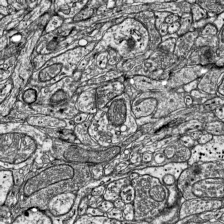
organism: Mouse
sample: Visual Cortex